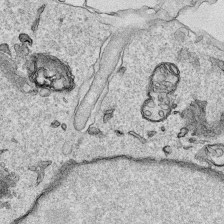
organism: Human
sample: Mitochondria in HCT116 cells